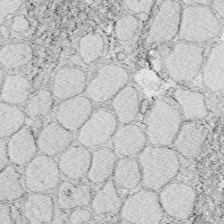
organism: Zebrafish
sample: Whole-Brain